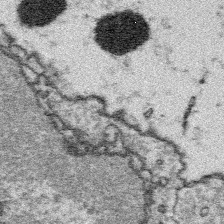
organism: Platynereis dumerilii